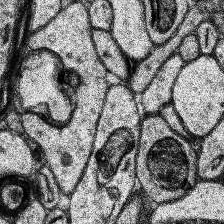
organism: Human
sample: Temporal Lobe